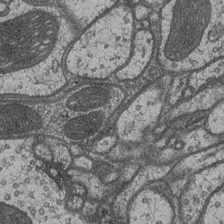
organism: Drosophila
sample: Optic medulla